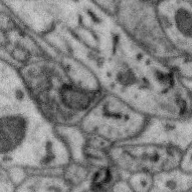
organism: Zebra finch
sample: Brain